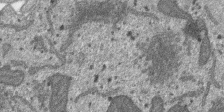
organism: Human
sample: Lung epithelial cells infected with SARS-CoV-2